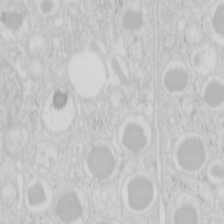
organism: Mouse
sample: Pancreas